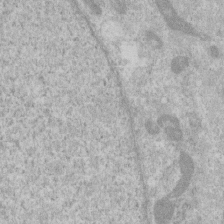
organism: Human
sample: Centriole in RPE cells